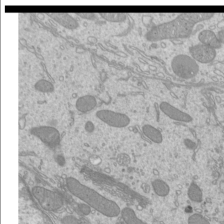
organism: Mouse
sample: Cilia; mouse epididymis